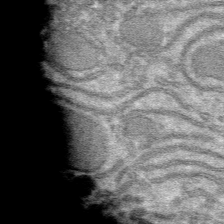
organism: Mouse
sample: Mouse hepatocytes